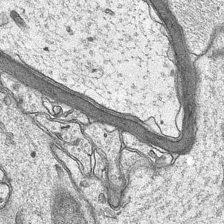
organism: Mouse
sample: CA1 Hippocampus